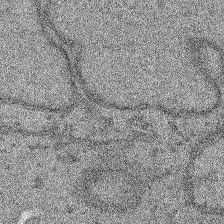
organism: Human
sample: HeLa cells